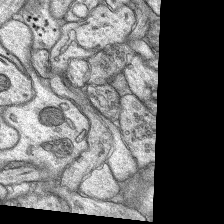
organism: Rat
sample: Hippocampus